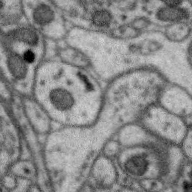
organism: Zebra finch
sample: Brain